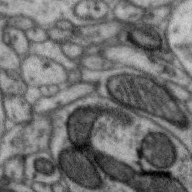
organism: Zebra finch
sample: Brain